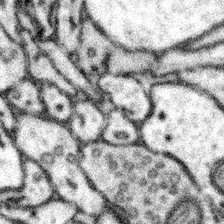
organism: Mouse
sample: Somatosensory cortex neuropil